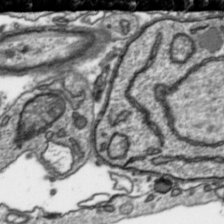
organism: Toxoplasma gondii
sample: Parasites in a vacuole inside a host cell